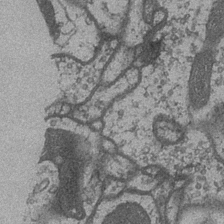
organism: Drosophila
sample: Optic medulla